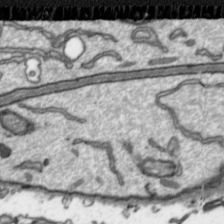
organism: Toxoplasma gondii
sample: Parasites in a vacuole inside a host cell